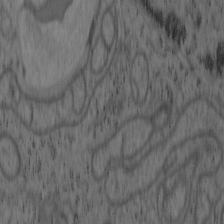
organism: Human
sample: HeLa cells